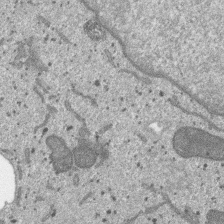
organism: Human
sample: Lung epithelial cells infected with SARS-CoV-2